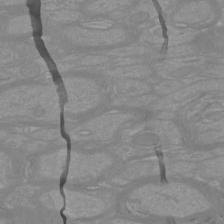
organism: Mouse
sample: Cortical neurons